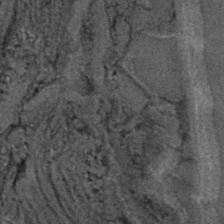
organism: C. elegans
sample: C. elegans embryo